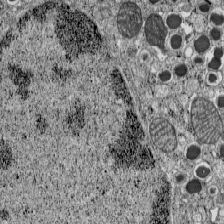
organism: C57BL Mouse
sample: Pancreatic islet